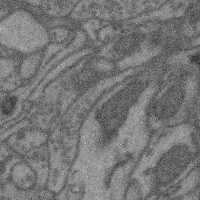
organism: Mouse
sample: Cerebral cortex